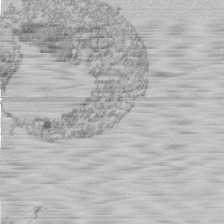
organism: Mouse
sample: Activated Pmel transgenic CD8+ T Cells